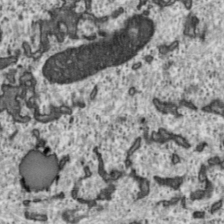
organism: Toxoplasma gondii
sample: Parasites in a vacuole inside a host cell